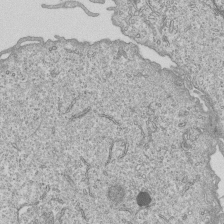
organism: Human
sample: MDA-MB-231 cells